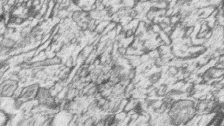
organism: Zebrafish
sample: synaptic ribbons in rod cells and cone cells